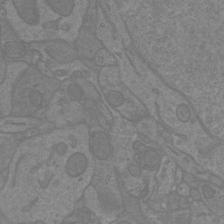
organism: Mouse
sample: Cortical neurons